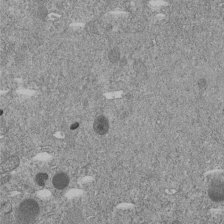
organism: C. elegans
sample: C. elegans embryo early stage